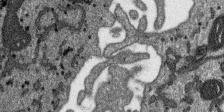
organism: Human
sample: Lung epithelial cells infected with SARS-CoV-2